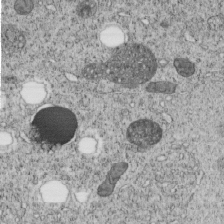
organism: C. elegans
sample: C. elegans embryo early stage